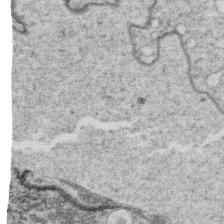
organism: C. elegans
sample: C. elegans oocyte; sperm cells